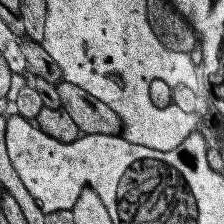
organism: Human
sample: Temporal Lobe